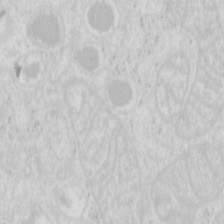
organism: Mouse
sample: Pancreas